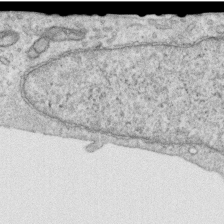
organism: Human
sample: Centriole in RPE cells